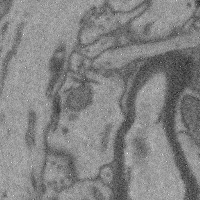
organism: Mouse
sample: Cerebral cortex